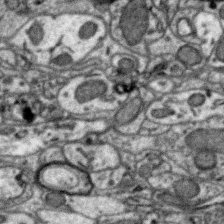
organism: Zebra finch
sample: Brain